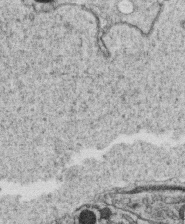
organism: C. elegans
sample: C. elegans oocyte; sperm cells